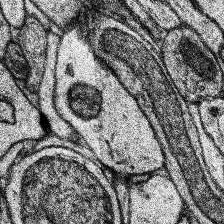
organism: Human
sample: Temporal Lobe